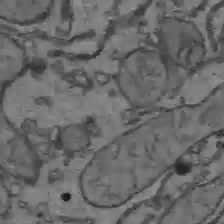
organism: C57BL Mouse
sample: Liver